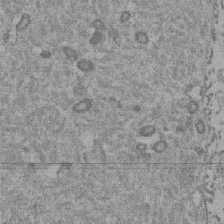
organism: Mouse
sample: Dividing mouse embryo 1 cell stage